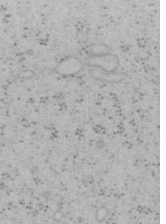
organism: Human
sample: HeLa cells